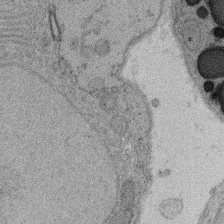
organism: Rat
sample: Salivary granule